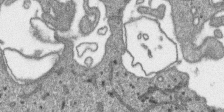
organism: Human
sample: Lung epithelial cells infected with SARS-CoV-2